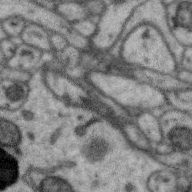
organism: Zebra finch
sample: Brain